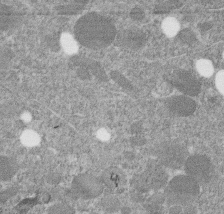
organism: C. elegans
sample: C. elegans embryo early stage